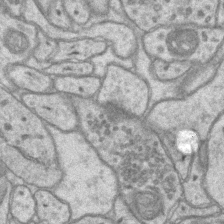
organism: Mouse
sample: CA1 Hippocampus